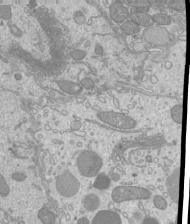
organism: Mouse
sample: Cilia; mouse epididymis